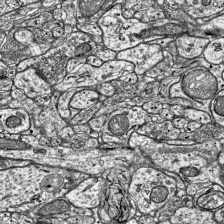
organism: Mouse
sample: Visual Cortex